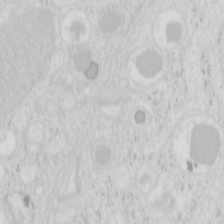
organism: Mouse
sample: Pancreas